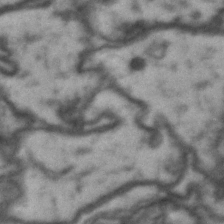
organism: Drosophila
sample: Brain